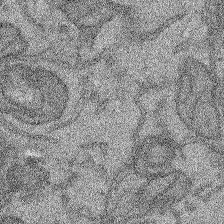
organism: Human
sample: HeLa cells